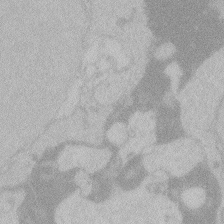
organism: Zebrafish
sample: Macrophage infected with Toxoplasma gondii